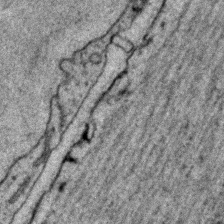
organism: C. elegans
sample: C. elegans embryo